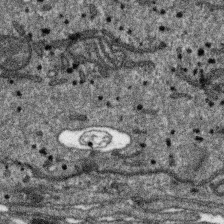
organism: Human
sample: Lung epithelial cells infected with SARS-CoV-2